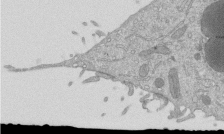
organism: Mouse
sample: ED-1 cell nuclei; centrioles